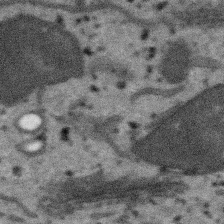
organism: Human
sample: Lung epithelial cells infected with SARS-CoV-2